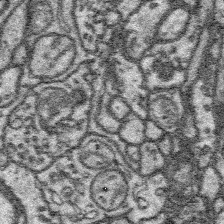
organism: Platynereis dumerilii